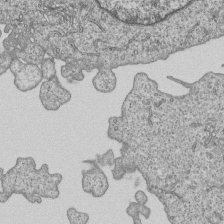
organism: Human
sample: MDA-MB-231 cells